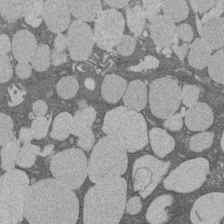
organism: Rat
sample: Salivary granule